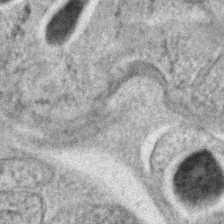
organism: C. elegans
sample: C. elegans embryo